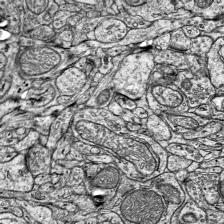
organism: Mouse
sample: Visual Cortex